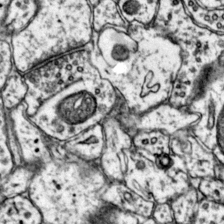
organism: Mouse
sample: Primary visual cortex